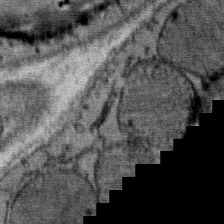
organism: Mouse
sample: Mouse Salivary gland